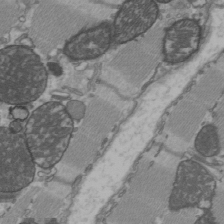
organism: C57BL Mouse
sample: Heart